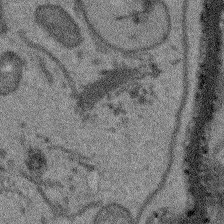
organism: Arabidopsis thaliana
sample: Root tip